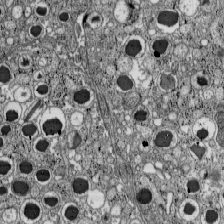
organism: C57BL Mouse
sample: Pancreatic islet